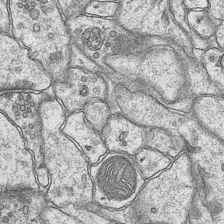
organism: Mouse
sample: CA1 Hippocampus